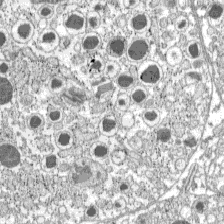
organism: C57BL Mouse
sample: Pancreatic islet